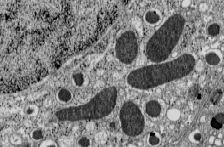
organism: C57BL Mouse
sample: Pancreatic islet